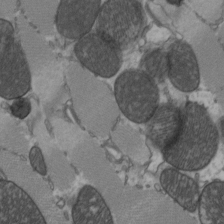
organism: C57BL Mouse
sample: Heart